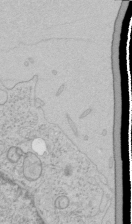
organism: Human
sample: Mitochondria in HCT116 cells